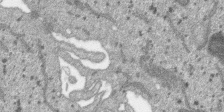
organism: Human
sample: Lung epithelial cells infected with SARS-CoV-2